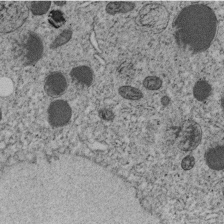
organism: C. elegans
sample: C. elegans embryo early stage